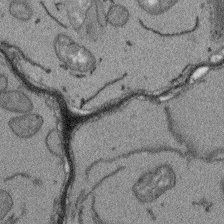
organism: Arabidopsis thaliana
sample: Root tip